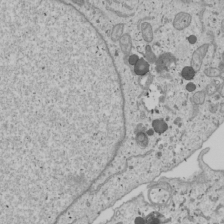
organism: Human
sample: Mitochondria in U2OS cells